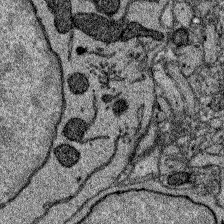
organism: Zebrafish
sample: Larval olfactory bulb